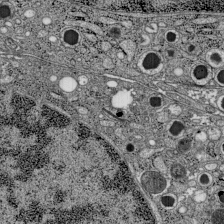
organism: C57BL Mouse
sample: Pancreatic islet